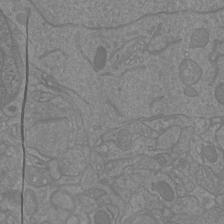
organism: Mouse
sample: Cortical neurons